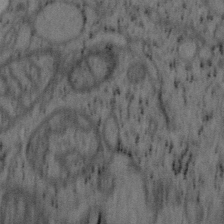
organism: Human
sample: HeLa cells